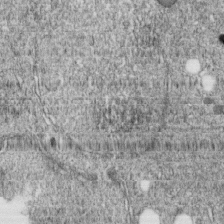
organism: C. elegans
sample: C. elegans embryo early stage